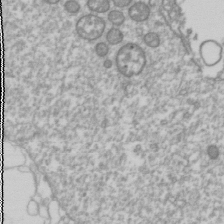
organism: Drosophila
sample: Cell division; meiosis; drosophila spermatocytes